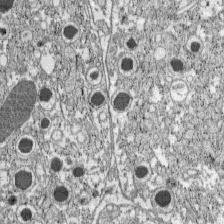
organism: C57BL Mouse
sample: Pancreatic islet